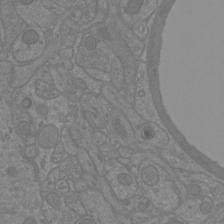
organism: Mouse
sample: Cortical neurons